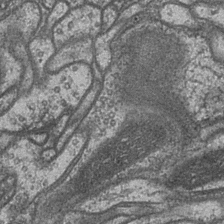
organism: Drosophila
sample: Optic medulla